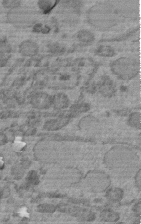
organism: C. elegans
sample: C. elegans embryo early stage